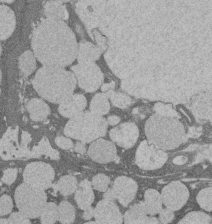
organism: Rat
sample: Salivary granule